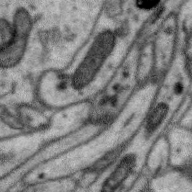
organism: Zebra finch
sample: Brain